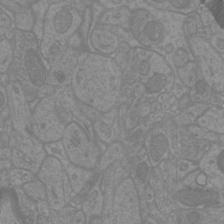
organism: Mouse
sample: Cortical neurons